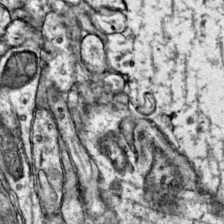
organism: Mouse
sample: Primary visual cortex